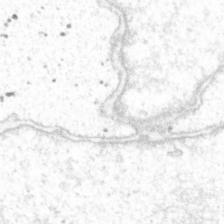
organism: Human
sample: HeLa cells